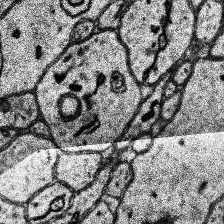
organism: Human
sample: Temporal Lobe